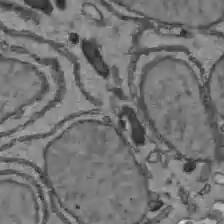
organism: C57BL Mouse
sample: Liver